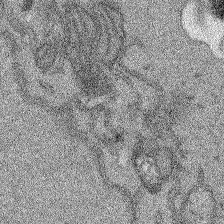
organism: Human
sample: HeLa cells